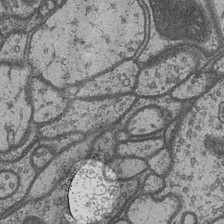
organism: Drosophila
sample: Optic medulla